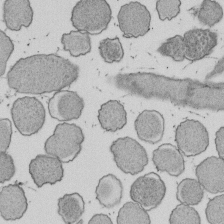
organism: E. coli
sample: Bacterial nucleoid